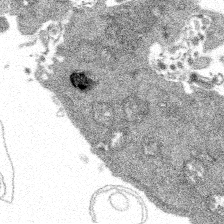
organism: Spongilla lacustris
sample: Multiple